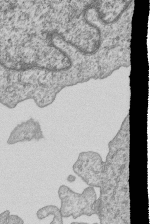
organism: Human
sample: MDA-MB-231 cells